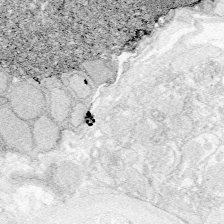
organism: Zebrafish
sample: Whole-Brain